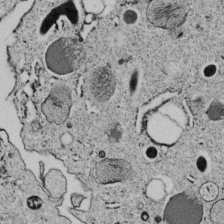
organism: C. elegans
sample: C. elegans embryo early stage